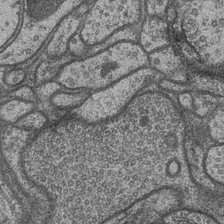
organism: Drosophila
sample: Optic medulla